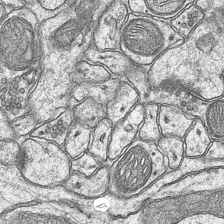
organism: Mouse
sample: CA1 Hippocampus